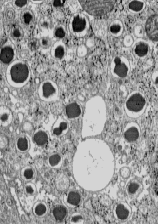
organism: C57BL Mouse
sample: Pancreatic islet